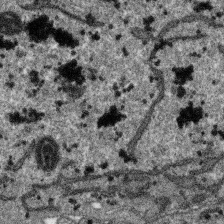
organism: Human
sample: Lung epithelial cells infected with SARS-CoV-2